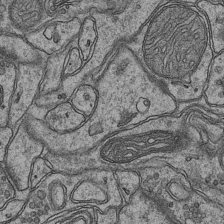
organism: Mouse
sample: CA1 Hippocampus